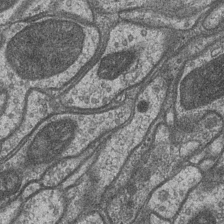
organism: Drosophila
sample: Optic medulla